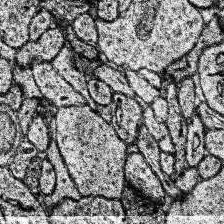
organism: Human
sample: Temporal Lobe